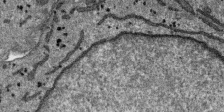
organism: Human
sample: Lung epithelial cells, uninfected (mock) control